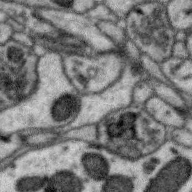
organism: Zebra finch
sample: Brain